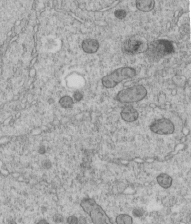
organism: C. elegans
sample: C. elegans embryo early stage